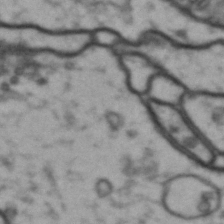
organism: Drosophila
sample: Brain